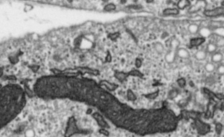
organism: Toxoplasma gondii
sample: Parasites in a vacuole inside a host cell